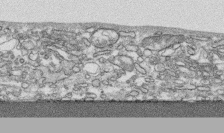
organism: Human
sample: CRL-1474